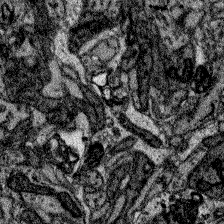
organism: Zebrafish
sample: Larval olfactory bulb